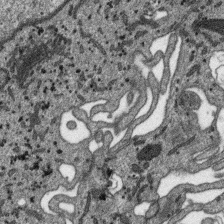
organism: Human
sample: Lung epithelial cells infected with SARS-CoV-2